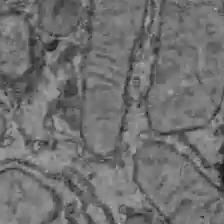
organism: C57BL Mouse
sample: Liver